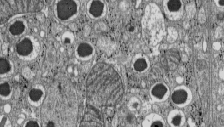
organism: C57BL Mouse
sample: Pancreatic islet